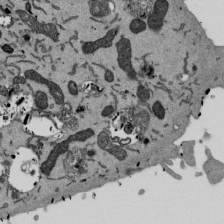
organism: Mouse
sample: ED-1 cell nuclei; centrioles